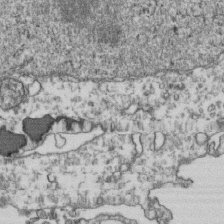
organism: Human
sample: Activated Jurkat CD4+ T cells